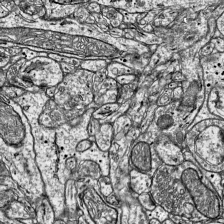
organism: Mouse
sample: Visual Cortex